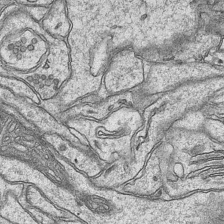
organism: Mouse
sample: CA1 Hippocampus